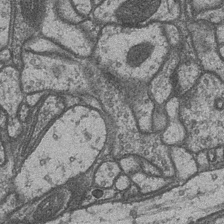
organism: Drosophila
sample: Optic medulla